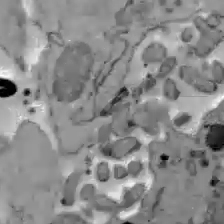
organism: C57BL Mouse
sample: Liver